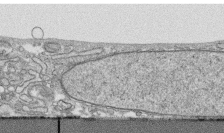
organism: Human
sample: CRL-1474